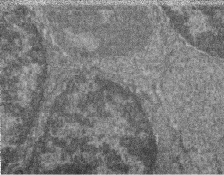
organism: Zebrafish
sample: Cilia; retinal pigment epithelium